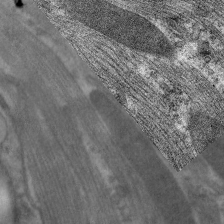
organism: C. elegans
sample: Pharynx